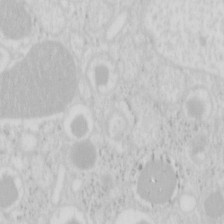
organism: Mouse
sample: Pancreas